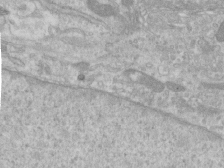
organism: Human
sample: Centriole in RPE cells